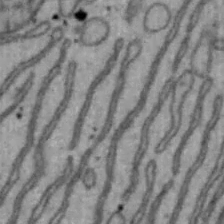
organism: Mouse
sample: Liver